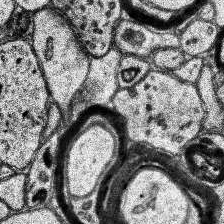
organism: Human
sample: Temporal Lobe